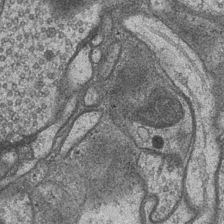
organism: Drosophila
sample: Optic medulla